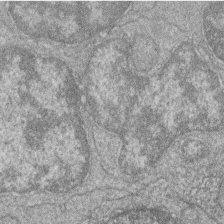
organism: Zebrafish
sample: Cilia; retinal pigment epithelium